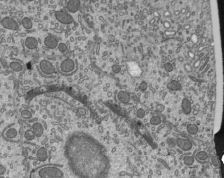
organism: Mouse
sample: Mouse epididymis efferent ductule cilia